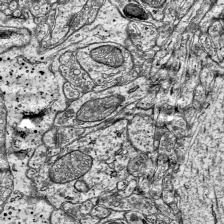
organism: Mouse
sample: Visual Cortex